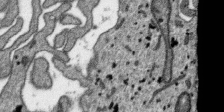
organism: Human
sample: Lung epithelial cells, uninfected (mock) control